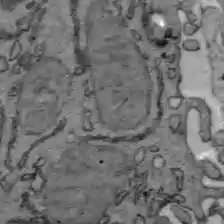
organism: C57BL Mouse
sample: Liver